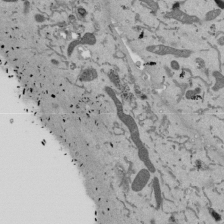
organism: Mouse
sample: ED-1 cell nuclei; centrioles